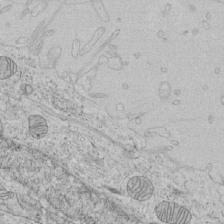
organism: Human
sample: Mitochondria in HCT116 cells